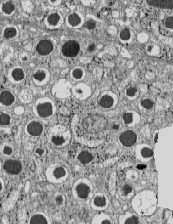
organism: C57BL Mouse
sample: Pancreatic islet